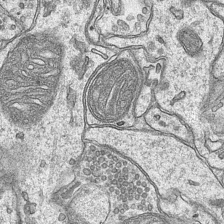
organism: Mouse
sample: CA1 Hippocampus